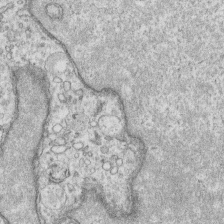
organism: Human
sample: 1205lu cells